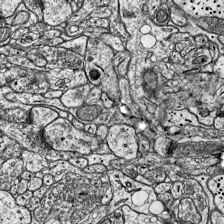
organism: Mouse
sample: Visual Cortex